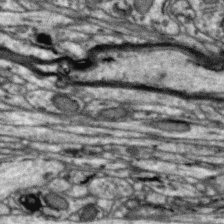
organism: Zebra finch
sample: Brain